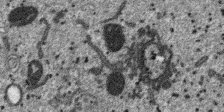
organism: Human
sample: Lung epithelial cells infected with SARS-CoV-2